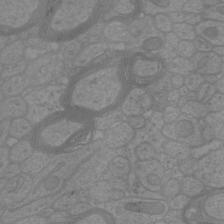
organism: Mouse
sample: Cortical neurons